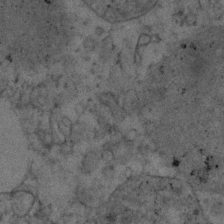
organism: Human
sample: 1205lu cells